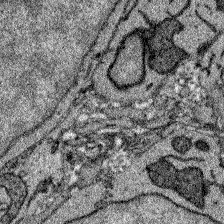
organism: Zebrafish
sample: Larval olfactory bulb